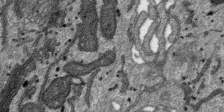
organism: Human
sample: Lung epithelial cells, uninfected (mock) control